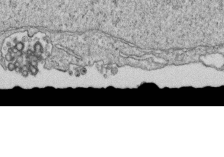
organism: Human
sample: HeLa cell HIV synapse